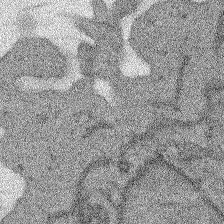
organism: Human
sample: HeLa cells